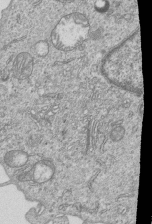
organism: Human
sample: MDA-MB-231 cells